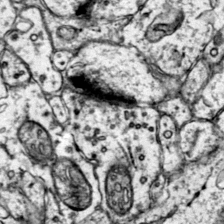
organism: Mouse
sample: Primary visual cortex